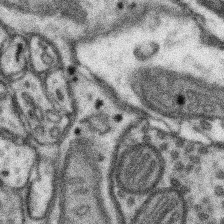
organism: Mouse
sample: Somatosensory cortex neuropil